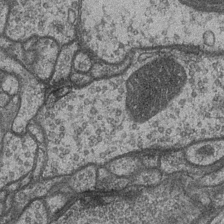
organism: Drosophila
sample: Optic medulla